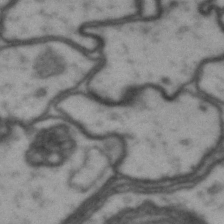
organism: Drosophila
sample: Brain